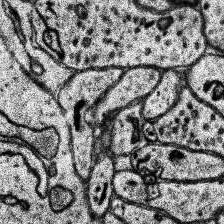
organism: Human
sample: Temporal Lobe